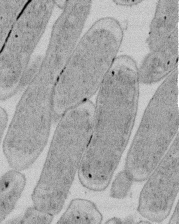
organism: E. coli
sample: Bacterial nucleoid